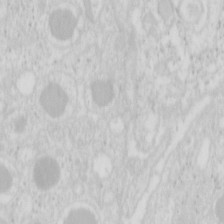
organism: Mouse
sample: Pancreas